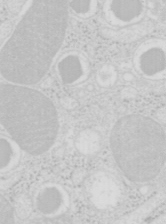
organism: Mouse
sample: Pancreas